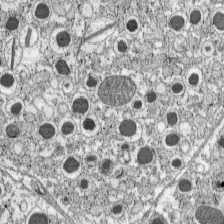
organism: C57BL Mouse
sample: Pancreatic islet